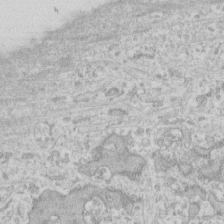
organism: Human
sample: Fibroblast cells